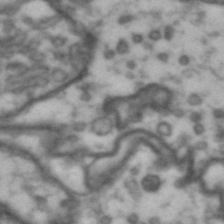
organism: Drosophila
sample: Brain